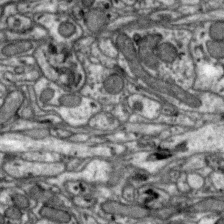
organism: Zebra finch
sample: Brain